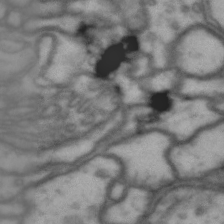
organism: Drosophila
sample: Brain